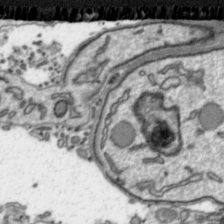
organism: Toxoplasma gondii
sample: Parasites in a vacuole inside a host cell